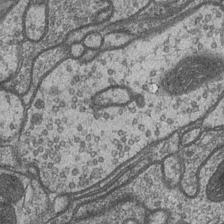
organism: Drosophila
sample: Optic medulla